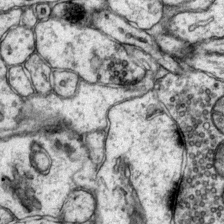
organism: Mouse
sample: Primary visual cortex